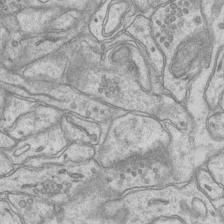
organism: Mouse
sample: CA1 Hippocampus